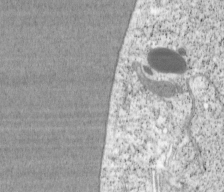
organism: African green monkey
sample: COS-7 cells